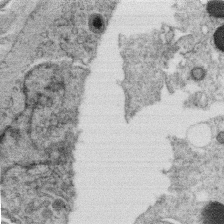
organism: C. elegans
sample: C. elegans oocyte; sperm cells